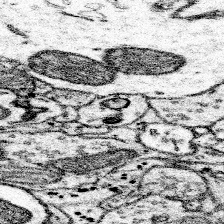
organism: Mouse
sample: Somatosensory cortex neuropil